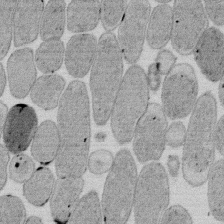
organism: E. coli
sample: Bacterial nucleoid